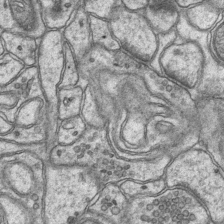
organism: Mouse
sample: CA1 Hippocampus